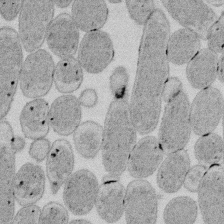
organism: E. coli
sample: Bacterial nucleoid